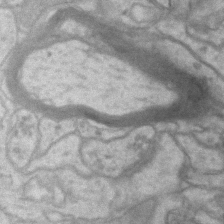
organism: Mouse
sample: CA1 Hippocampus